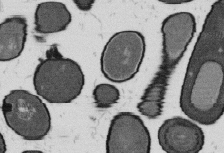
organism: B. subtilis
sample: Bacterial spore